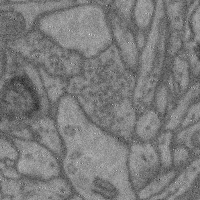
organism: Mouse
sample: Cerebral cortex